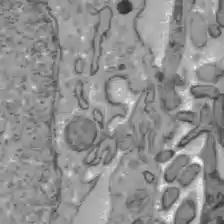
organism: C57BL Mouse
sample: Liver